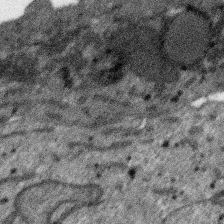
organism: Human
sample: Lung epithelial cells infected with SARS-CoV-2